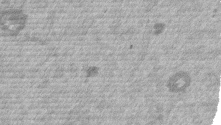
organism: Mouse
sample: Dividing mouse embryo 1 cell stage